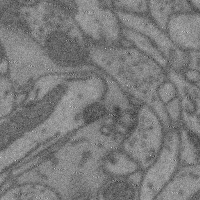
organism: Mouse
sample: Cerebral cortex